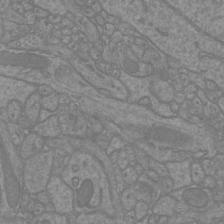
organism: Mouse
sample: Cortical neurons